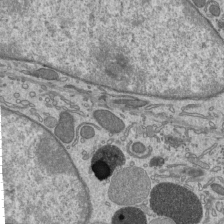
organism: Mouse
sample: Mouse epididymis efferent ductule cilia